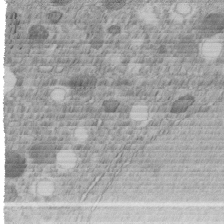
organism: C. elegans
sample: C. elegans embryo early stage